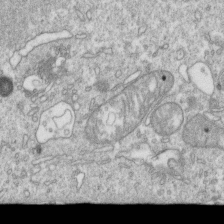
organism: Mouse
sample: Activated OT-1 CD8+ T cells